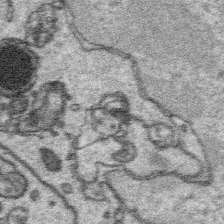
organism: Platynereis dumerilii